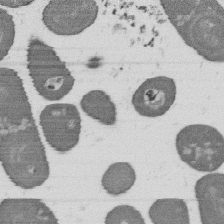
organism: B. subtilis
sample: Bacterial spore